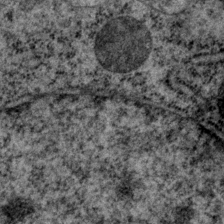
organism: P. pacificus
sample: Pharynx